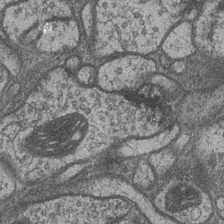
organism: Drosophila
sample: Optic medulla